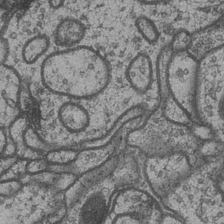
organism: Drosophila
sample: Optic medulla